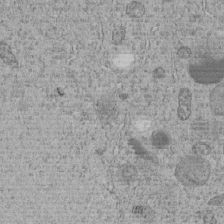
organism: C. elegans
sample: C. elegans embryo early stage